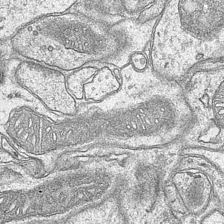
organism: Mouse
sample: CA1 Hippocampus